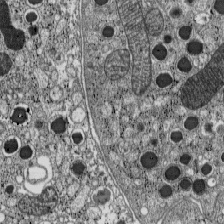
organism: C57BL Mouse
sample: Pancreatic islet